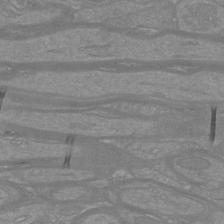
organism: Mouse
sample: Cortical neurons